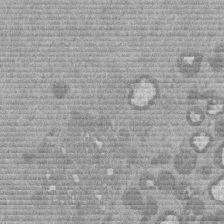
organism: Mouse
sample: Dividing mouse embryo 1 cell stage